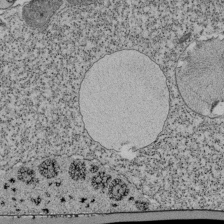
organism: Tetrahymena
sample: Cilia in tetrahymena